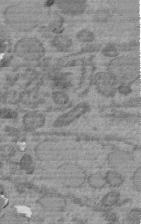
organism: C. elegans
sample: C. elegans embryo early stage